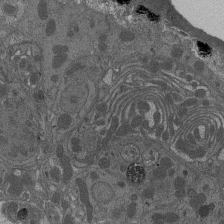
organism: Drosophila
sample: Antenna